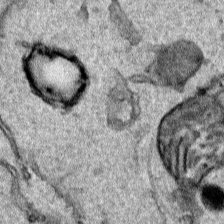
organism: Human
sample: Mitochondria in HCT116 cells